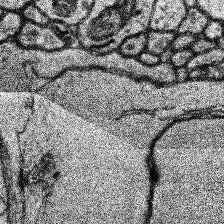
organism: Human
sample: Temporal Lobe